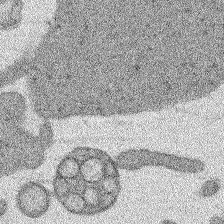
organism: Human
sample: HeLa cells